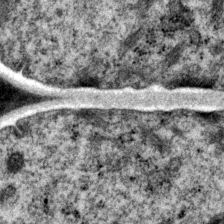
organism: P. pacificus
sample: Pharynx